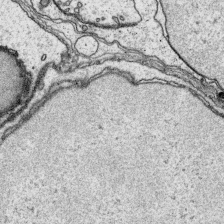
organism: Platynereis dumerilii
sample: Parapodia